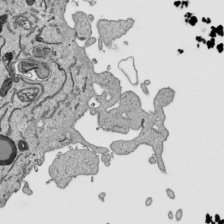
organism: Human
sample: Mitochondria in HCT116 cells